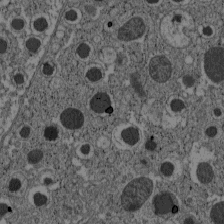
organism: C57BL Mouse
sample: Pancreatic islet